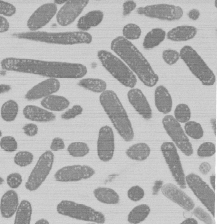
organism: E. coli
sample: Bacterial nucleoid